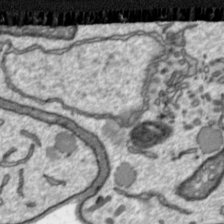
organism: Toxoplasma gondii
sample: Parasites in a vacuole inside a host cell